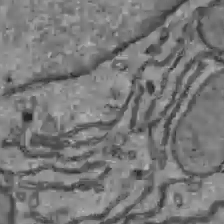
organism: C57BL Mouse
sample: Liver